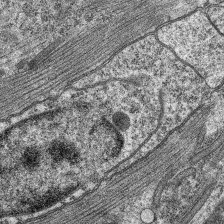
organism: C. elegans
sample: Pharynx